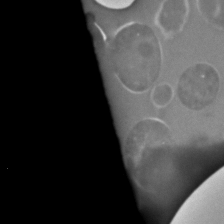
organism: C. elegans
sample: C. elegans embryo